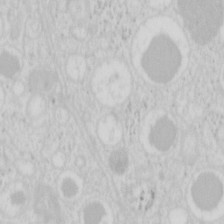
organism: Mouse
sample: Pancreas